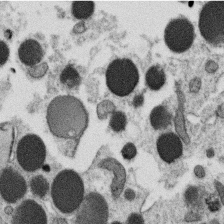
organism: C. elegans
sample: C. elegans oocyte; sperm cells